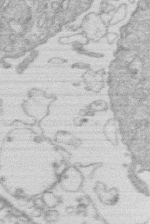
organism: Human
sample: Macrophage cells